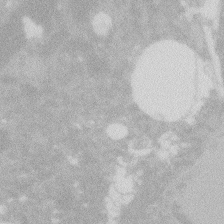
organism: Zebrafish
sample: Macrophage